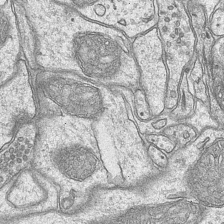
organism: Mouse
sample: CA1 Hippocampus